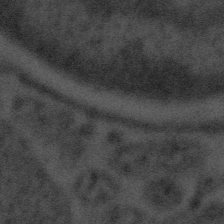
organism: Tuwongella immobilis